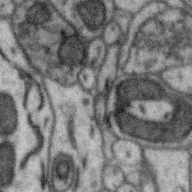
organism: Zebra finch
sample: Brain